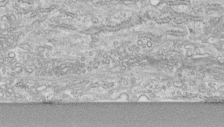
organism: Human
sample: Centriole in fibroblast cells